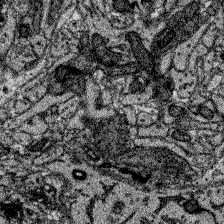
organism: Zebrafish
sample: Larval olfactory bulb